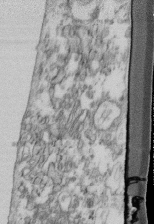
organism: Mouse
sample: Cilia; retinal pigment epithelium